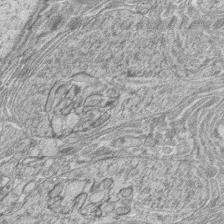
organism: Zebrafish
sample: synaptic ribbons in rod cells and cone cells